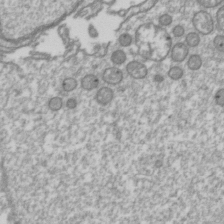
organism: Drosophila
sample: Cell division; meiosis; drosophila spermatocytes